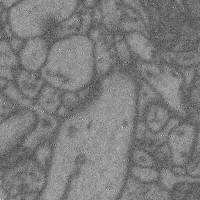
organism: Mouse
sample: Cerebral cortex